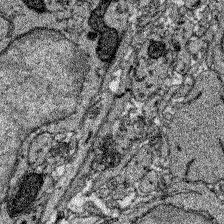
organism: Zebrafish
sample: Larval olfactory bulb